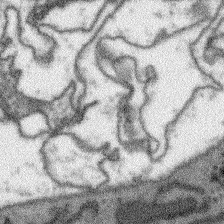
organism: Arabidopsis thaliana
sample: Root tip